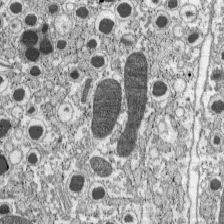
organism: C57BL Mouse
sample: Pancreatic islet